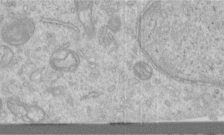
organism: Human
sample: Centriole in RPE cells